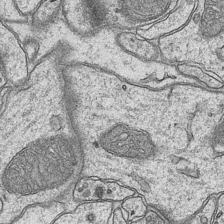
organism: Mouse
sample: CA1 Hippocampus